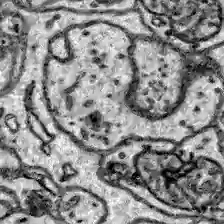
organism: Zebrafish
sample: Brain